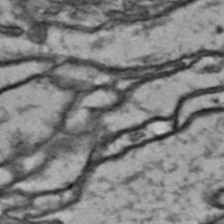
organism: Drosophila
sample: Brain